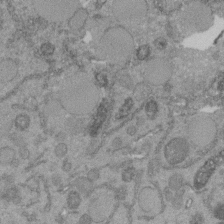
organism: C. elegans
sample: C. elegans embryo early stage